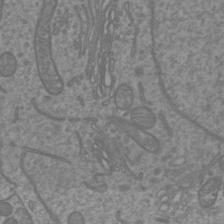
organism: Mouse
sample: Cortical neurons